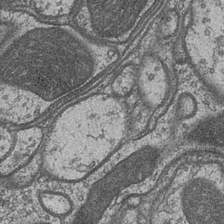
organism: Drosophila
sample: Optic medulla